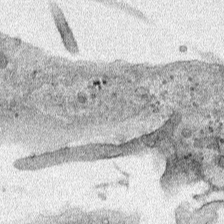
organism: Human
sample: Mitochondria in HCT116 cells